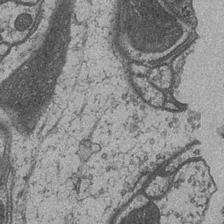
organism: Drosophila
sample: Optic medulla